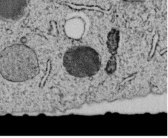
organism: C. elegans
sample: C. elegans embryo early stage